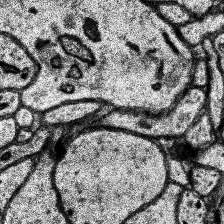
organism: Human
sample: Temporal Lobe